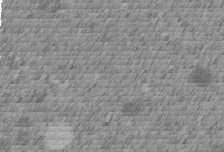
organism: C. elegans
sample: C. elegans embryo early stage